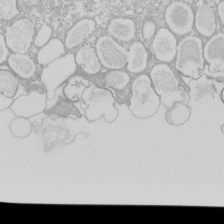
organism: Xenopus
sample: Cilia; centrioles in frog embryo cells